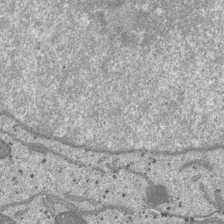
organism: Human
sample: Lung epithelial cells infected with SARS-CoV-2